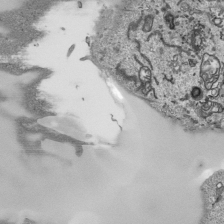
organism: Human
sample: Mitochondria in HCT116 cells